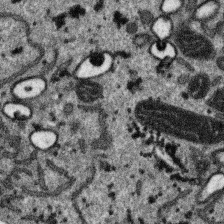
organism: Human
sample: Lung epithelial cells infected with SARS-CoV-2